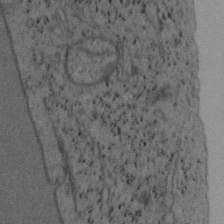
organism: Human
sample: HeLa cells